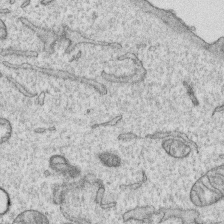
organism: Human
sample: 1205lu cells